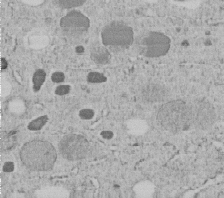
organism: C. elegans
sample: C. elegans embryo early stage